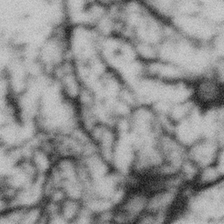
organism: Gemmata obscuriglobus